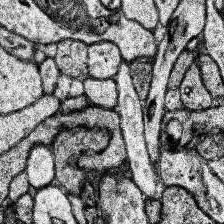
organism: Human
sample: Temporal Lobe